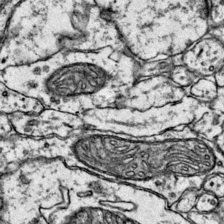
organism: Mouse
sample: Primary visual cortex